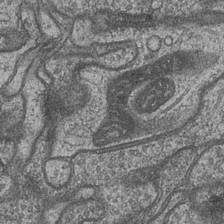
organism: Drosophila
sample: Optic medulla